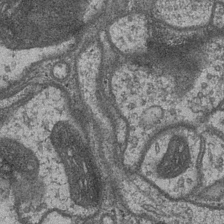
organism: Drosophila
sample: Optic medulla